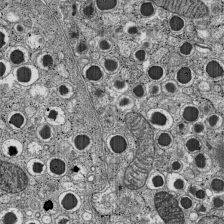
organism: C57BL Mouse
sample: Pancreatic islet